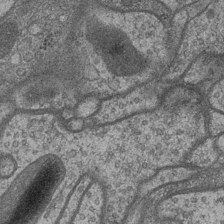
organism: Drosophila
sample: Optic medulla